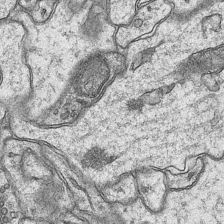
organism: Mouse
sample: CA1 Hippocampus